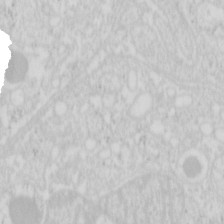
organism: Mouse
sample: Pancreas